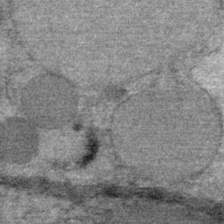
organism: Mouse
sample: Mouse Salivary gland